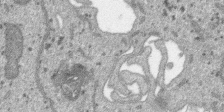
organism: Human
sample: Lung epithelial cells infected with SARS-CoV-2